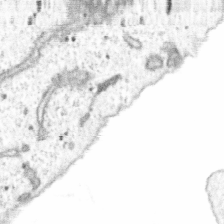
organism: Human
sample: HeLa cells